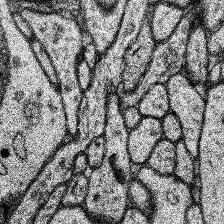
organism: Human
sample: Temporal Lobe